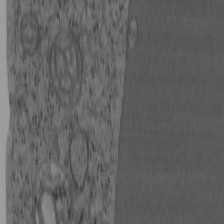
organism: Human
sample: HeLa cells